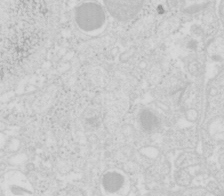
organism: Mouse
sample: Pancreas